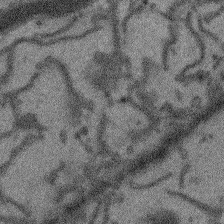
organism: Arabidopsis thaliana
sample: Root tip